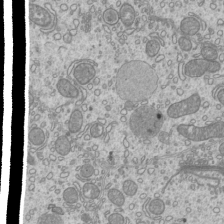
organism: Mouse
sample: Cilia; mouse epididymis